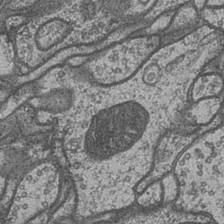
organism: Drosophila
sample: Optic medulla